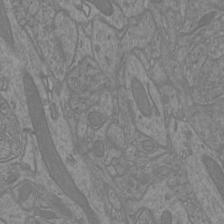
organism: Mouse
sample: Cortical neurons